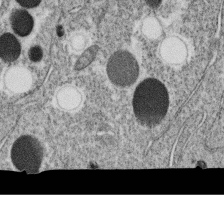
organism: C. elegans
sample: C. elegans oocyte; sperm cells